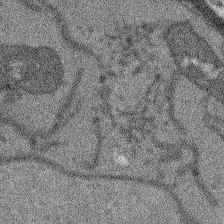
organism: Arabidopsis thaliana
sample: Root tip